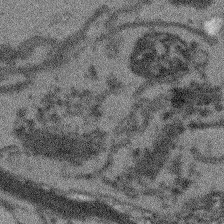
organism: Arabidopsis thaliana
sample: Root tip